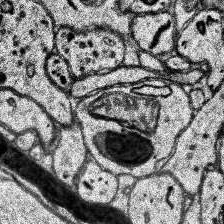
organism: Human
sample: Temporal Lobe